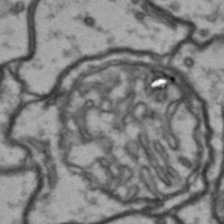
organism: Drosophila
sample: Brain